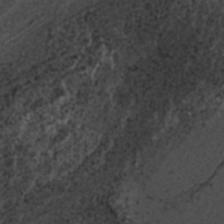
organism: C. elegans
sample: C. elegans embryo